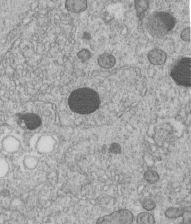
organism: C. elegans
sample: C. elegans embryo early stage